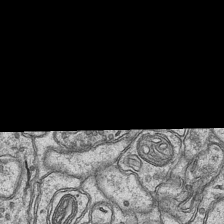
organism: Mouse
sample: CA1 Hippocampus